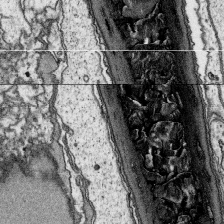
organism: Platynereis dumerilii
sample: Parapodia